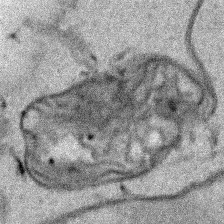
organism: Human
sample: Mitochondria in HCT116 cells